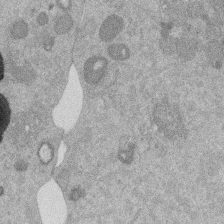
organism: Mouse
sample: Dividing mouse embryo 1 cell stage